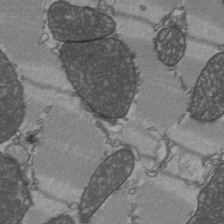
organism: C57BL Mouse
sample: Heart